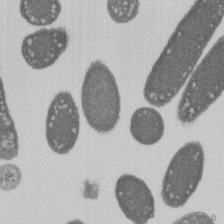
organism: E. coli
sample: Bacterial nucleoid